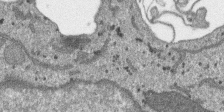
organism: Human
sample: Lung epithelial cells infected with SARS-CoV-2